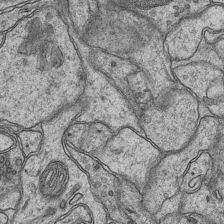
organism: Mouse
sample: CA1 Hippocampus